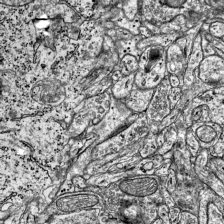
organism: Mouse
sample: Visual Cortex